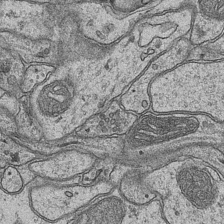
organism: Mouse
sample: CA1 Hippocampus